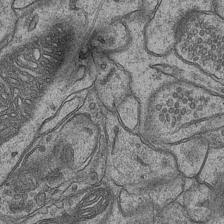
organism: Mouse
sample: CA1 Hippocampus